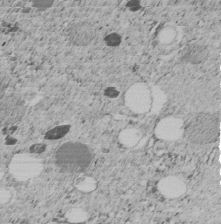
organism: C. elegans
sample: C. elegans embryo early stage